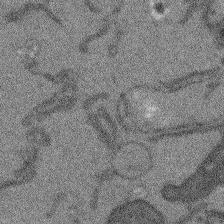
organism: Arabidopsis thaliana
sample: Root tip